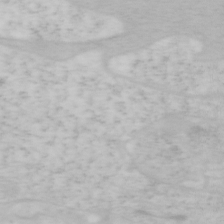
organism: Mouse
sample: OT-I killer T cells with ID8 ovarian cancer cells